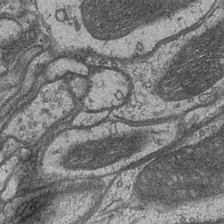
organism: Drosophila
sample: Optic medulla